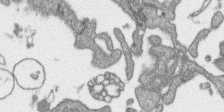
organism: Human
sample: Lung epithelial cells infected with SARS-CoV-2